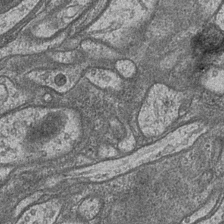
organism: Drosophila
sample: Optic medulla